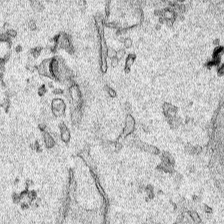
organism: Human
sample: Mitochondria in HCT116 cells